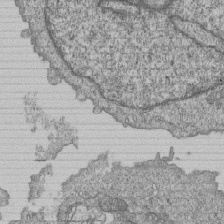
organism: Human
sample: MDA-MB-231 cells